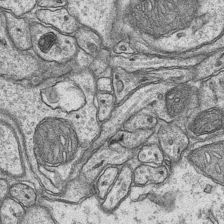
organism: Mouse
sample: CA1 Hippocampus